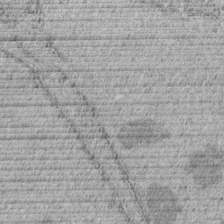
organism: C. elegans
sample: C. elegans embryo early stage